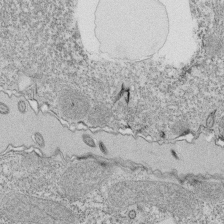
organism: Tetrahymena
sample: Cilia in tetrahymena